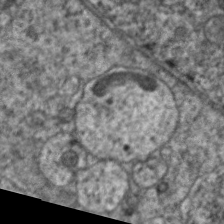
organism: C. elegans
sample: Pharynx